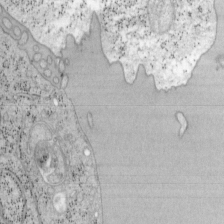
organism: Mouse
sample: OT-I killer T cells with ID8 ovarian cancer cells